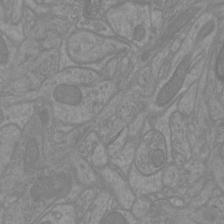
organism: Mouse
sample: Cortical neurons